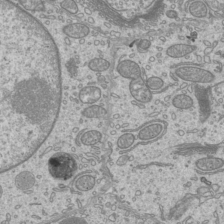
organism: Mouse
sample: Cilia; mouse epididymis